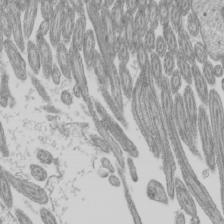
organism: Mouse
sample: Cilia; mouse epididymis